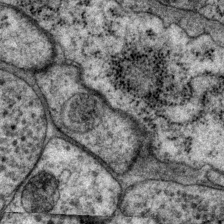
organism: P. pacificus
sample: Pharynx